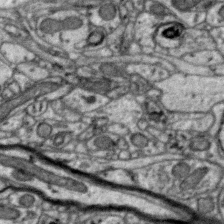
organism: Zebra finch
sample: Brain